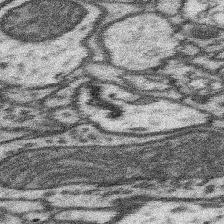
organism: Mouse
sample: Somatosensory cortex neuropil